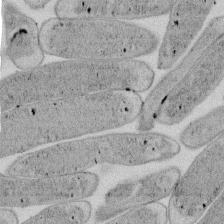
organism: E. coli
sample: Bacterial nucleoid